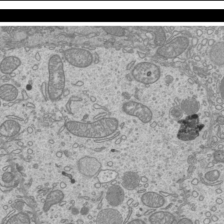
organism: Mouse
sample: Cilia; mouse epididymis